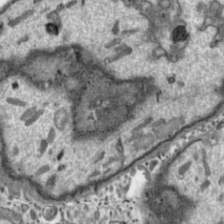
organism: Toxoplasma gondii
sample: Parasites in a vacuole inside a host cell